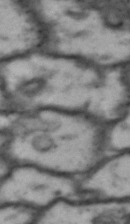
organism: Drosophila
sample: Brain